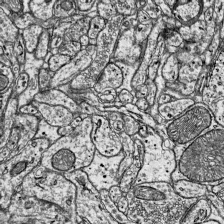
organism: Mouse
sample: Visual Cortex